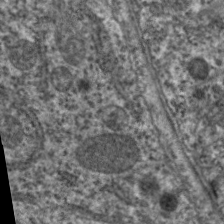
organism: C. elegans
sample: Pharynx